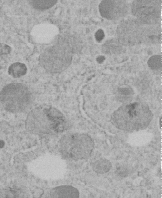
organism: C. elegans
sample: C. elegans embryo early stage